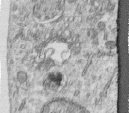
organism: Human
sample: Centriole in RPE cells